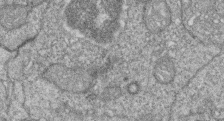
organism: Zebrafish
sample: Cilia; retinal pigment epithelium